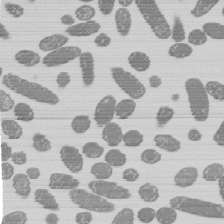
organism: E. coli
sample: Bacterial nucleoid